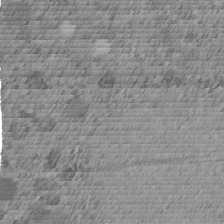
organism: C. elegans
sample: C. elegans embryo early stage